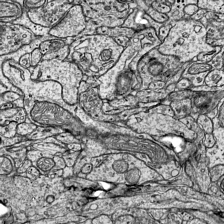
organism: Mouse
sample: Visual Cortex